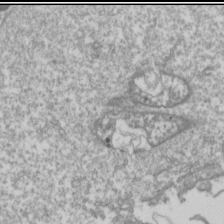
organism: Drosophila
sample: Cell division; meiosis; drosophila spermatocytes